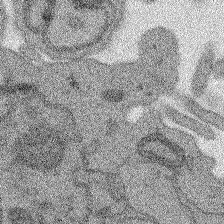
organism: Human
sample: HeLa cells